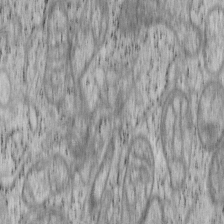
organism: Human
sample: HeLa cells